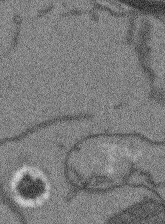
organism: Arabidopsis thaliana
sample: Root tip